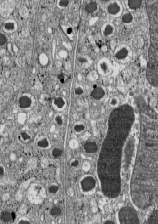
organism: C57BL Mouse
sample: Pancreatic islet